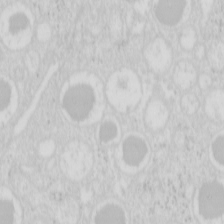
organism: Mouse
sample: Pancreas